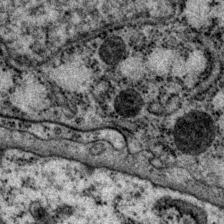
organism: P. pacificus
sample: Pharynx